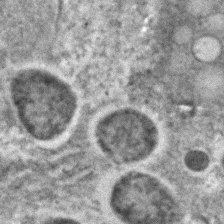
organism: C. elegans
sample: C. elegans embryo